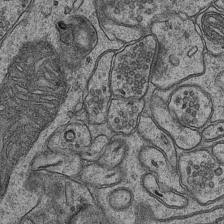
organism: Mouse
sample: CA1 Hippocampus